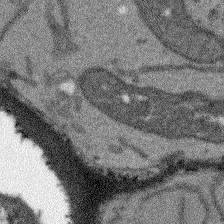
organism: Arabidopsis thaliana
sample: Root tip